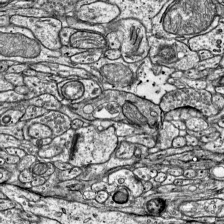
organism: Mouse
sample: Visual Cortex